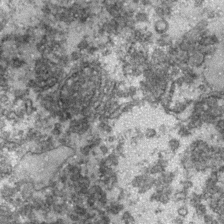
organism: Zebrafish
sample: Zebrafish embryo